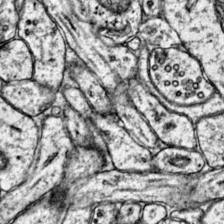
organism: Mouse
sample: Primary visual cortex